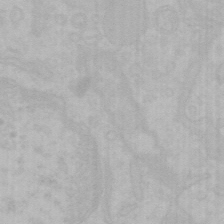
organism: Mouse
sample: Choroid plexus